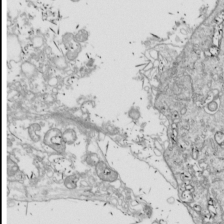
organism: Drosophila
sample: Cell division; meiosis; drosophila spermatocytes